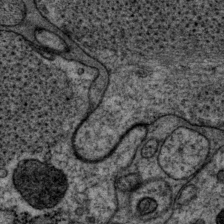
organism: P. pacificus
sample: Pharynx